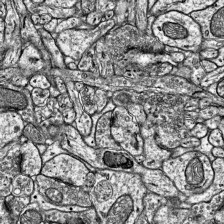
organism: Mouse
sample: Visual Cortex